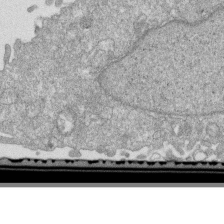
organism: Human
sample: HeLa cell HIV synapse